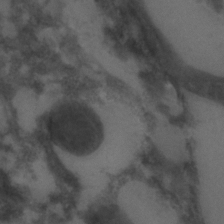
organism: C. elegans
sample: C. elegans embryo